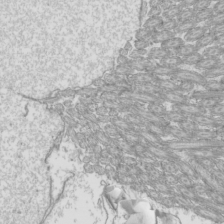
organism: Mouse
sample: Cilia; mouse epididymis